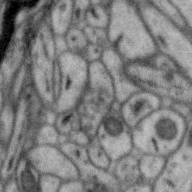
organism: Zebra finch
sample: Brain